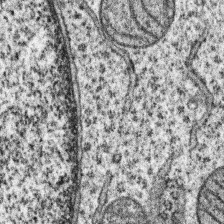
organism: Human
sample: HeLa cells